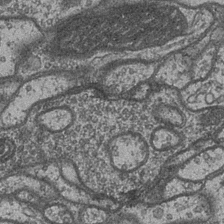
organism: Drosophila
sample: Optic medulla